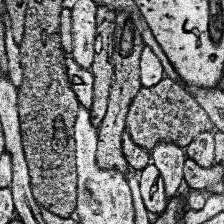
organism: Human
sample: Temporal Lobe